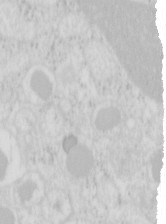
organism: Mouse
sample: Pancreas